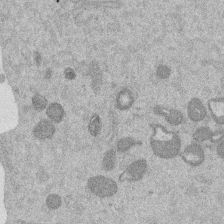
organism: Mouse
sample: Dividing mouse embryo 1 cell stage